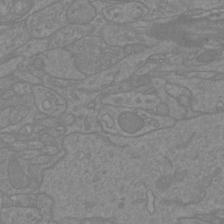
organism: Mouse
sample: Cortical neurons